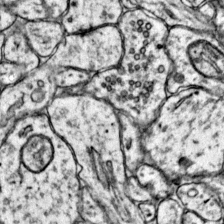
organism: Mouse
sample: Primary visual cortex